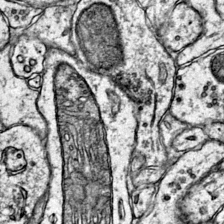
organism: Mouse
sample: Primary visual cortex